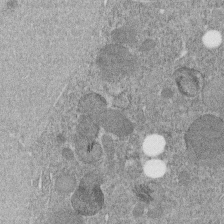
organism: C. elegans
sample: C. elegans embryo early stage